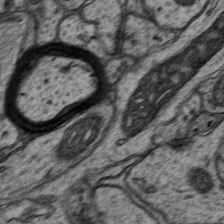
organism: Mouse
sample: CA1 Hippocampus